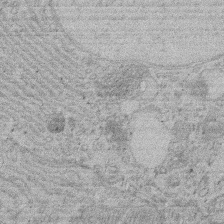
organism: Rat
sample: Salivary granule